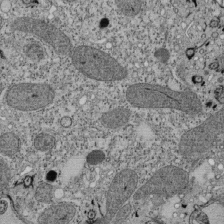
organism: Tetrahymena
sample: Cilia in tetrahymena